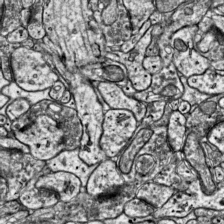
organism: Mouse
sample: Visual Cortex